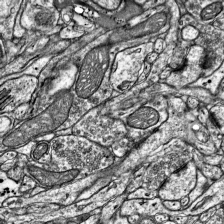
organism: Mouse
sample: Visual Cortex